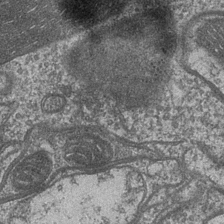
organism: Drosophila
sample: Optic medulla